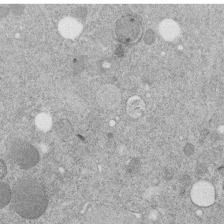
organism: C. elegans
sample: C. elegans embryo early stage